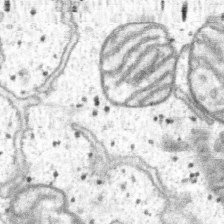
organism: Human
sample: HeLa cells